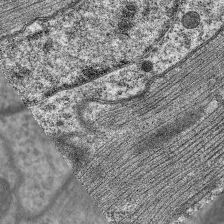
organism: C. elegans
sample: Pharynx